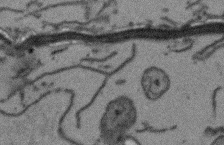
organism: Arabidopsis thaliana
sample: Root tip